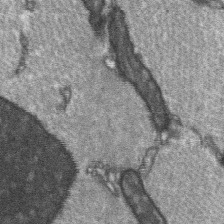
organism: C57BL Mouse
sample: Soleus